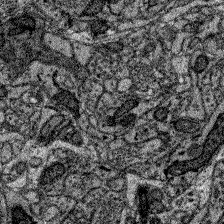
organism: Zebrafish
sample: Larval olfactory bulb